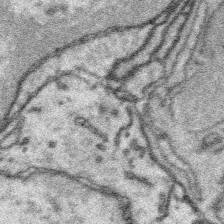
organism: Platynereis dumerilii